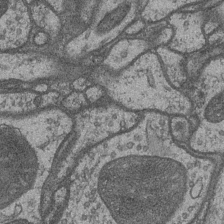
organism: Drosophila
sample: Optic medulla